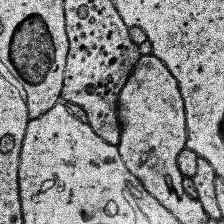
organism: Human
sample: Temporal Lobe